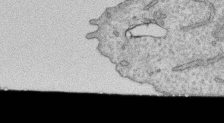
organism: Human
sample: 1205lu cells